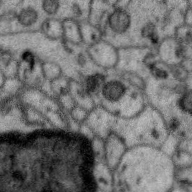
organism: Zebra finch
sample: Brain